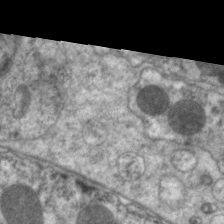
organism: C. elegans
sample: Pharynx